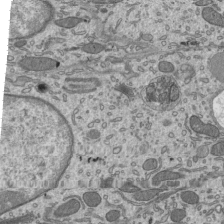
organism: Mouse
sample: Mouse epididymis efferent ductule cilia